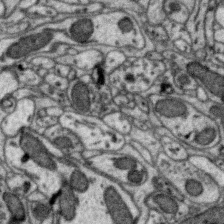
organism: Zebra finch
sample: Brain